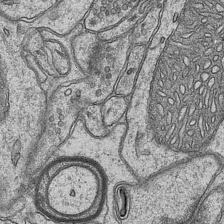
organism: Mouse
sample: CA1 Hippocampus